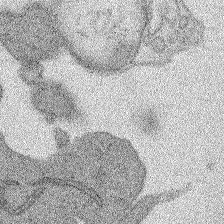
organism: Human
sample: HeLa cells